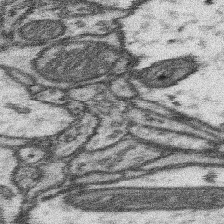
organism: Mouse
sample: Somatosensory cortex neuropil